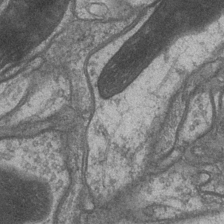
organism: Drosophila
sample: Optic medulla